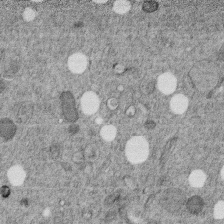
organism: C. elegans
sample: C. elegans embryo early stage